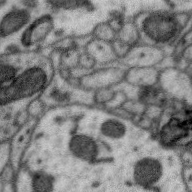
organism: Zebra finch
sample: Brain